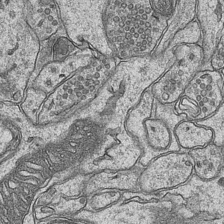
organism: Mouse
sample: CA1 Hippocampus